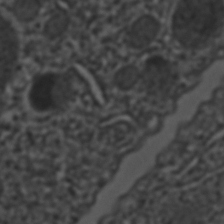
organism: C. elegans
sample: C. elegans embryo